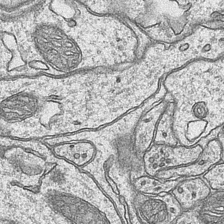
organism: Mouse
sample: CA1 Hippocampus